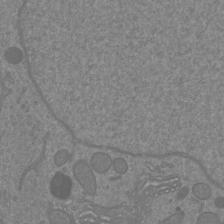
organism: Mouse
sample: Cortical neurons